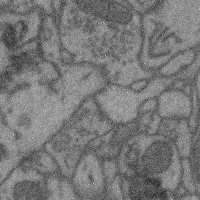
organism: Mouse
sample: Cerebral cortex